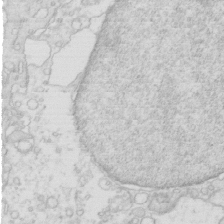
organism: Mouse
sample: Multiciliated cells